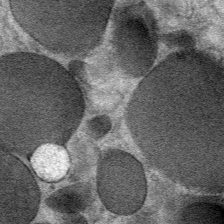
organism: Mouse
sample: Mouse Salivary gland